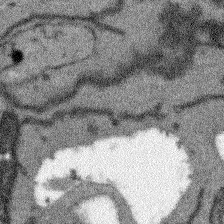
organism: Arabidopsis thaliana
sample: Root tip